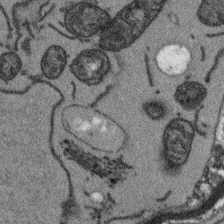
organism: Arabidopsis thaliana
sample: Root tip